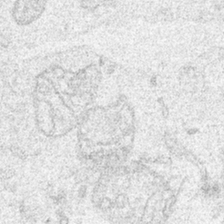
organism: Human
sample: Mitochondria in HCT116 cells